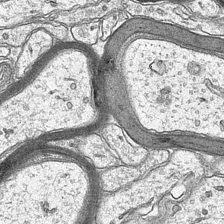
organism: Mouse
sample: CA1 Hippocampus